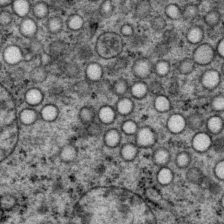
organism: P. pacificus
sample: Pharynx